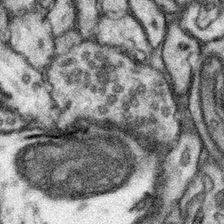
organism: Mouse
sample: Somatosensory cortex neuropil